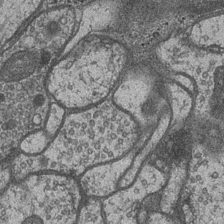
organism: Drosophila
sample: Optic medulla